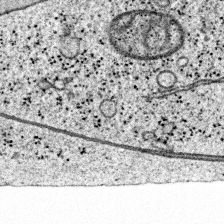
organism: Human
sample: HeLa cells